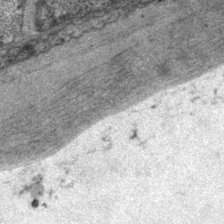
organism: P. pacificus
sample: Pharynx